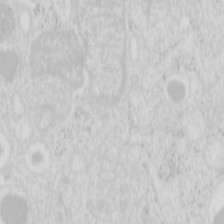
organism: Mouse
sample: Pancreas